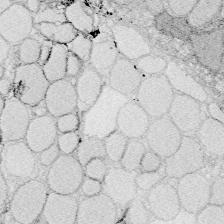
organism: Zebrafish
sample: Whole-Brain